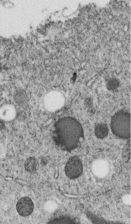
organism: C. elegans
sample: C. elegans embryo early stage